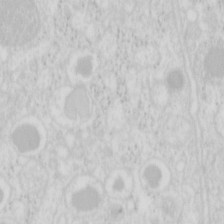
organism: Mouse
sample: Pancreas